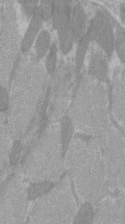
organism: C57BL Mouse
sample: Tibialis anterior muscle cell